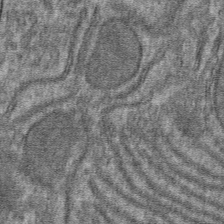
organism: Mouse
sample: Mouse hepatocytes